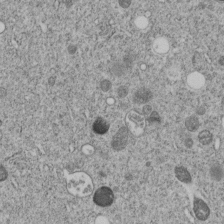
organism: C. elegans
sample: C. elegans embryo early stage